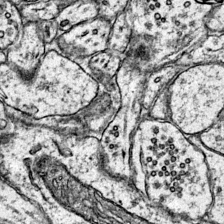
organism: Mouse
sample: Primary visual cortex